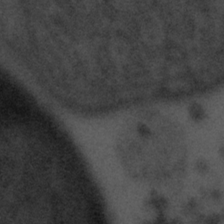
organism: Tuwongella immobilis